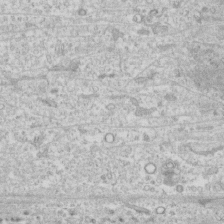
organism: Human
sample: CRL-1474